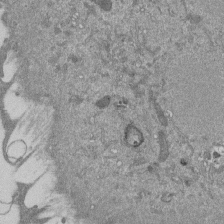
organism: Mouse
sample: ED-1 cell nuclei; centrioles